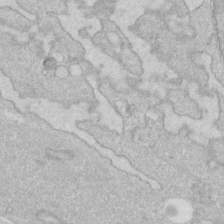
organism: Human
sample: Fibroblast cells